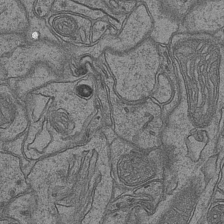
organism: Mouse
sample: CA1 Hippocampus